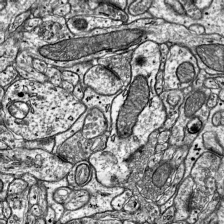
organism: Mouse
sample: Visual Cortex